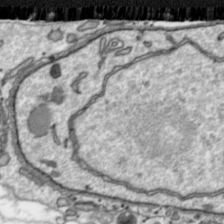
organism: Toxoplasma gondii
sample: Parasites in a vacuole inside a host cell